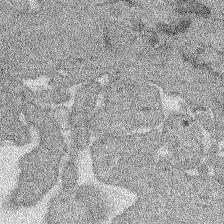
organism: Human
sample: HeLa cells